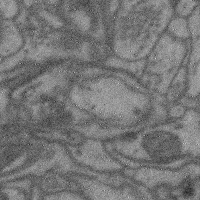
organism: Mouse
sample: Cerebral cortex